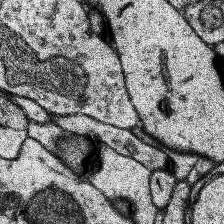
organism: Human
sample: Temporal Lobe